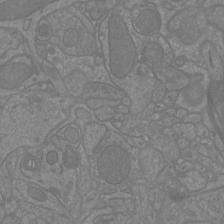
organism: Mouse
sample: Cortical neurons